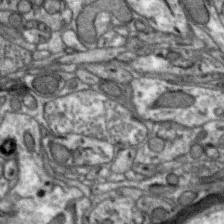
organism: Zebra finch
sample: Brain